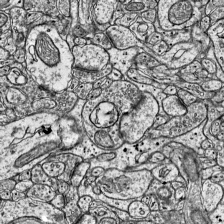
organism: Mouse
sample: Visual Cortex